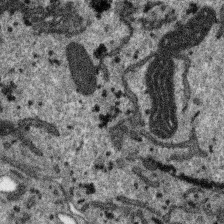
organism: Human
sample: Lung epithelial cells infected with SARS-CoV-2